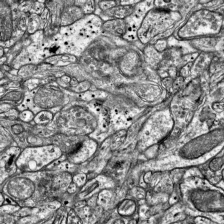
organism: Mouse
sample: Visual Cortex